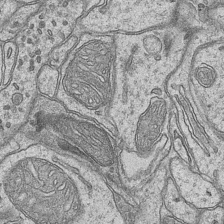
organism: Mouse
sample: CA1 Hippocampus